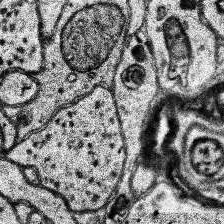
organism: Human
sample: Temporal Lobe